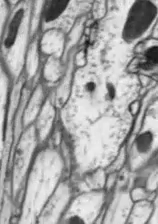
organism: Drosophila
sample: Optic lobe